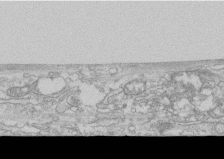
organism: Human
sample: CRL-1474